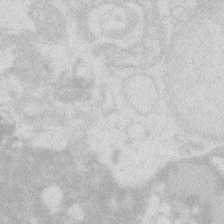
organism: Zebrafish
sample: Macrophage